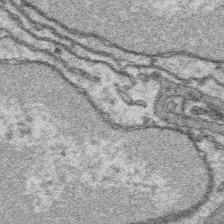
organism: Platynereis dumerilii